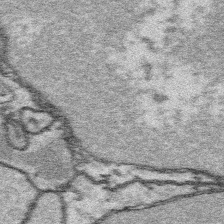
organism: Platynereis dumerilii